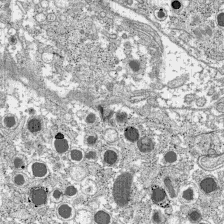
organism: C57BL Mouse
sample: Pancreatic islet